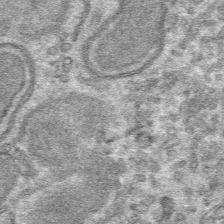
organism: Mouse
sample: Mouse hepatocytes